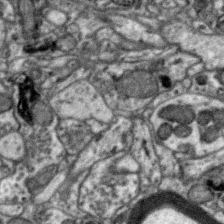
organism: Zebra finch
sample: Brain